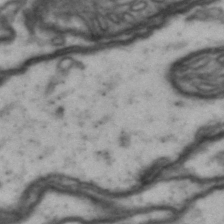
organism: Drosophila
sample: Brain